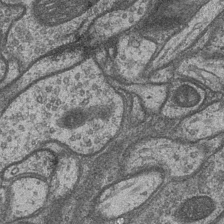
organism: Drosophila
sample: Optic medulla